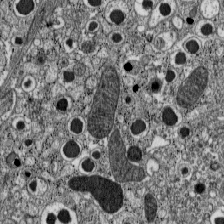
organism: C57BL Mouse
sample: Pancreatic islet